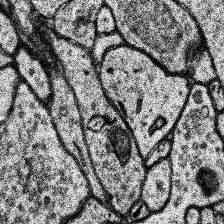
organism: Human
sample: Temporal Lobe